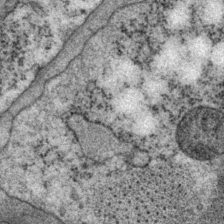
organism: P. pacificus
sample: Pharynx